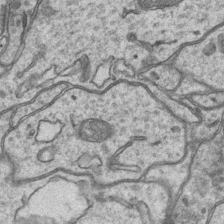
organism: Mouse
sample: CA1 Hippocampus